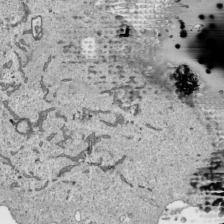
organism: Human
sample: Mitochondria in HCT116 cells